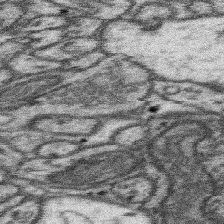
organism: Mouse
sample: Somatosensory cortex neuropil